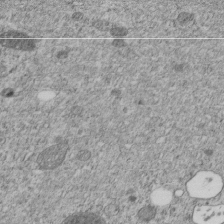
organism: C. elegans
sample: C. elegans embryo early stage